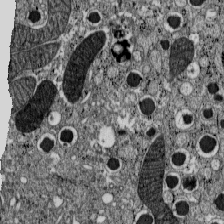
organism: C57BL Mouse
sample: Pancreatic islet